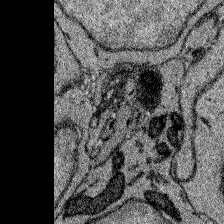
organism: Zebrafish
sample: Larval olfactory bulb